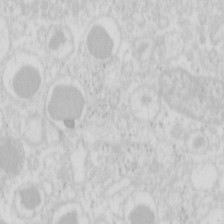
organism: Mouse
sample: Pancreas